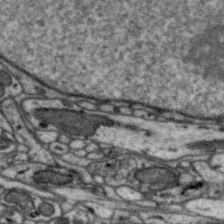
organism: Zebra finch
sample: Brain